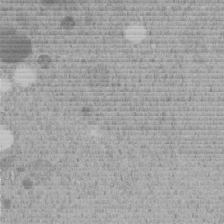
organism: C. elegans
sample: C. elegans embryo early stage